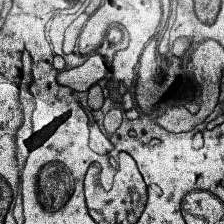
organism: Human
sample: Temporal Lobe